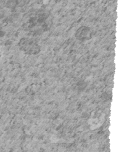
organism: C. elegans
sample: C. elegans embryo early stage